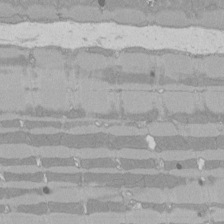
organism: Rat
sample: Left ventricle